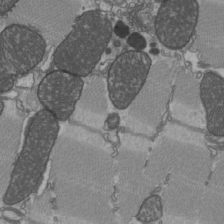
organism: C57BL Mouse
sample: Heart